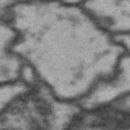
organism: Drosophila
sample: Brain